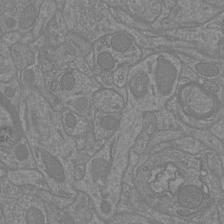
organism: Mouse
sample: Cortical neurons